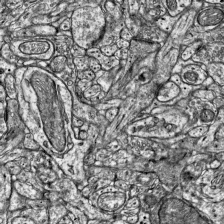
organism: Mouse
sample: Visual Cortex